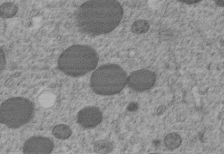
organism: C. elegans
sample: C. elegans embryo early stage